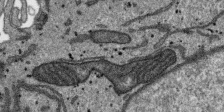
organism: Human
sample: Lung epithelial cells, uninfected (mock) control